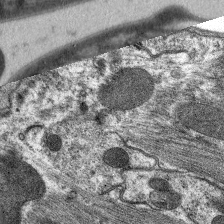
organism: C. elegans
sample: Pharynx